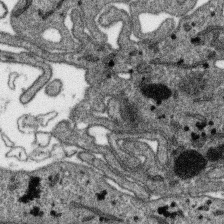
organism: Human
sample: Lung epithelial cells infected with SARS-CoV-2